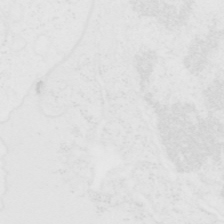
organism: Human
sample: T Cells (Jurkat E6.1)